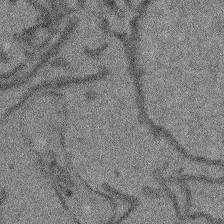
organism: Arabidopsis thaliana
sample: Root tip